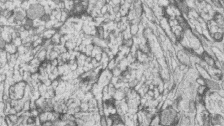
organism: Zebrafish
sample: synaptic ribbons in rod cells and cone cells